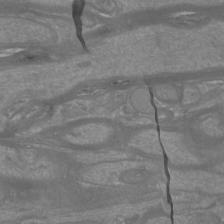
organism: Mouse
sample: Cortical neurons